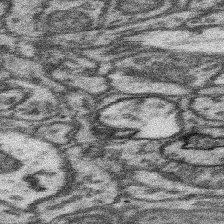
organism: Mouse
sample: Somatosensory cortex neuropil